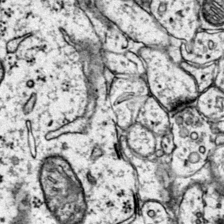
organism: Mouse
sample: Primary visual cortex